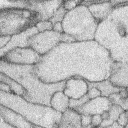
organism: Rabbit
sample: Retina